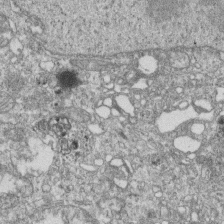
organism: Human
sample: HeLa cell HIV synapse